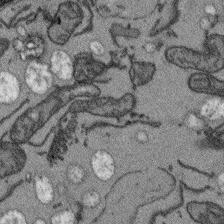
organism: Arabidopsis thaliana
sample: Root tip